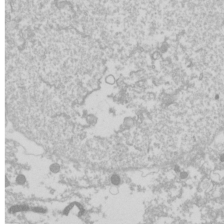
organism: Drosophila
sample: Cell division; meiosis; drosophila spermatocytes